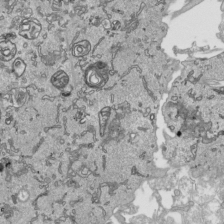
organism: Human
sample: Mitochondria in HCT116 cells